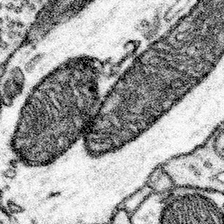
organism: Mouse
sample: Somatosensory cortex neuropil